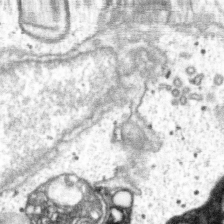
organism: Human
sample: HeLa cells